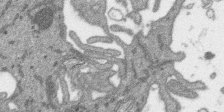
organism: Human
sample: Lung epithelial cells infected with SARS-CoV-2